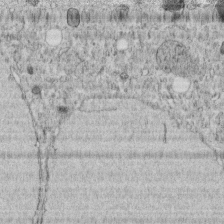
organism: C. elegans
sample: C. elegans embryo early stage